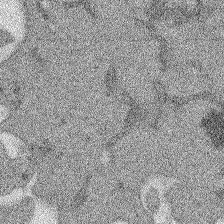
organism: Human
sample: HeLa cells